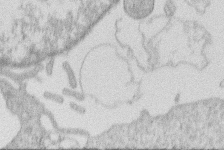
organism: Human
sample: Macrophage cells